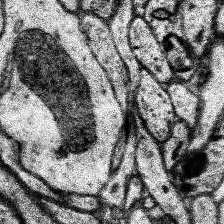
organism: Human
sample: Temporal Lobe